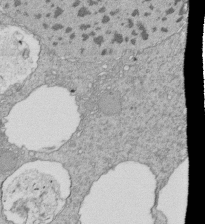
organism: Tetrahymena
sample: Cilia in tetrahymena